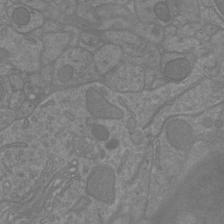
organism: Mouse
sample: Cortical neurons